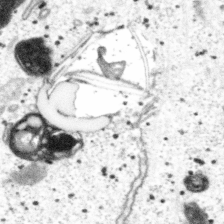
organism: Human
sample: HeLa cells